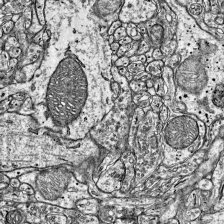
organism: Mouse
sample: Visual Cortex